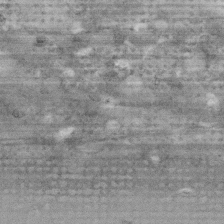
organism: Human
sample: Fibroblast cells